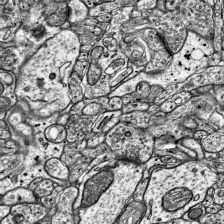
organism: Mouse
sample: Visual Cortex